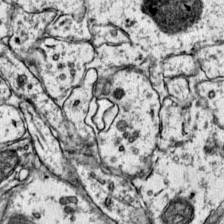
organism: Mouse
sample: Primary visual cortex